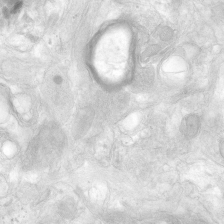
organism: Human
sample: Neocortex